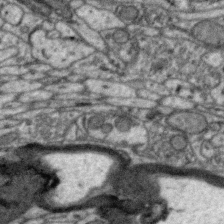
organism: Zebra finch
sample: Brain